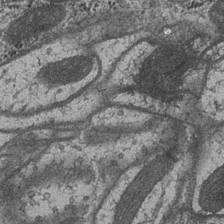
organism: Drosophila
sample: Optic medulla